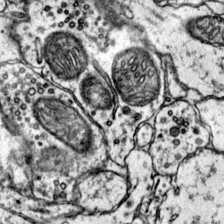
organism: Mouse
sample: Primary visual cortex